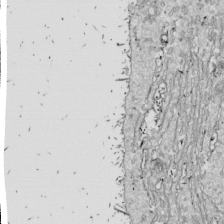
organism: Drosophila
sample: Cell division; meiosis; drosophila spermatocytes